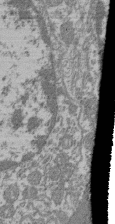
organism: Mouse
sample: Glomerulus